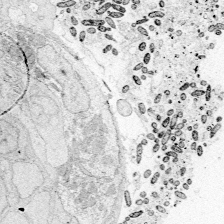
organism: Zebrafish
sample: Whole-Brain